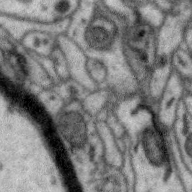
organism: Zebra finch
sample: Brain